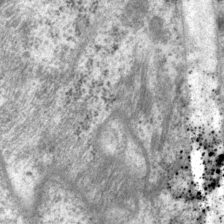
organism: P. pacificus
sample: Pharynx